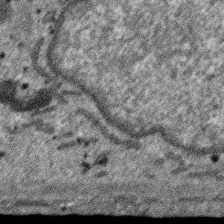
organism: Human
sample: Lung epithelial cells infected with SARS-CoV-2